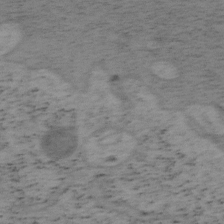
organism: Mouse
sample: OT-I killer T cells with ID8 ovarian cancer cells